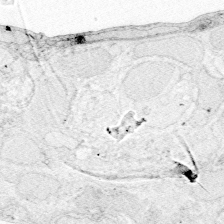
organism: Zebrafish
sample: Whole-Brain